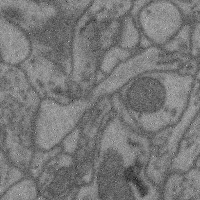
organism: Mouse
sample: Cerebral cortex